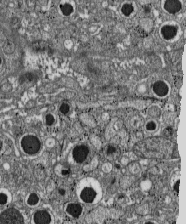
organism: C57BL Mouse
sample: Pancreatic islet